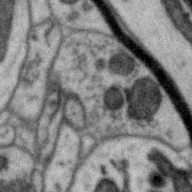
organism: Zebra finch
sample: Brain